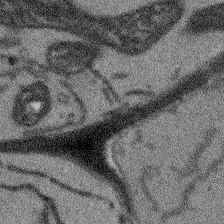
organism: Arabidopsis thaliana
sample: Root tip